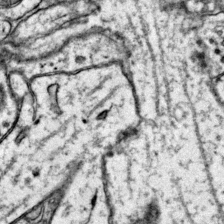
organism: Mouse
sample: Primary visual cortex